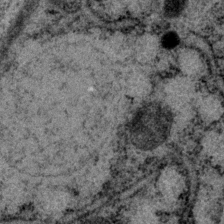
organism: P. pacificus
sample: Pharynx